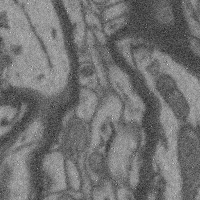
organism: Mouse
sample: Cerebral cortex